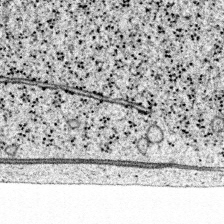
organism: Human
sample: HeLa cells